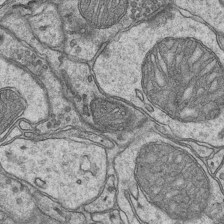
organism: Mouse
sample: CA1 Hippocampus